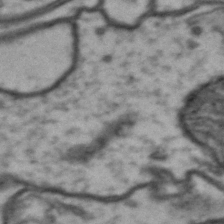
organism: Drosophila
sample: Brain